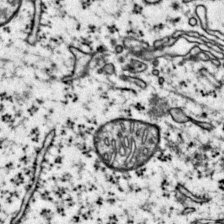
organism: Mouse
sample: Primary visual cortex